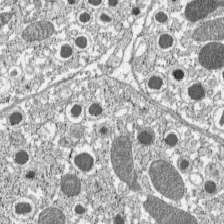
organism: C57BL Mouse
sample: Pancreatic islet